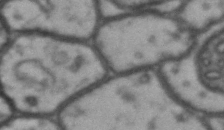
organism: Drosophila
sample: Brain